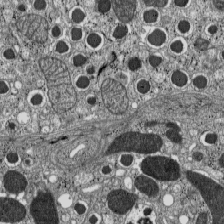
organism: C57BL Mouse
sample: Pancreatic islet